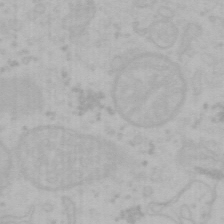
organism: Mouse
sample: Choroid plexus